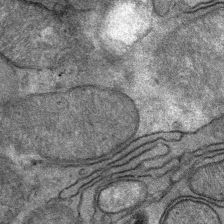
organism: Mouse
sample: Mouse Salivary gland